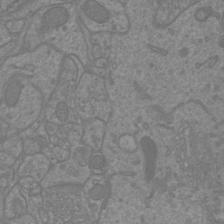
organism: Mouse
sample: Cortical neurons